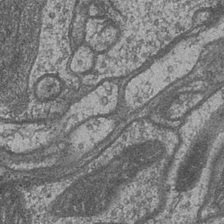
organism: Drosophila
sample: Optic medulla